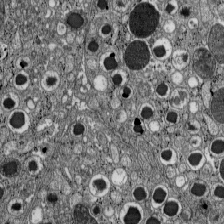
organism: C57BL Mouse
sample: Pancreatic islet